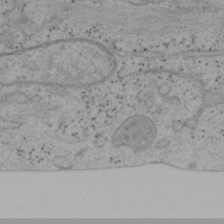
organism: Human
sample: HeLa cells